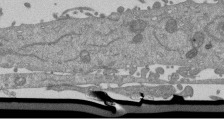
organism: Mouse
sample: ED-1 cell nuclei; centrioles